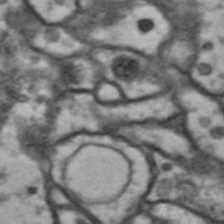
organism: Drosophila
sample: Brain